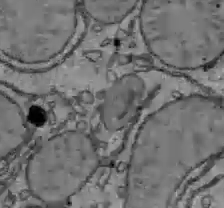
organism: C57BL Mouse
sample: Liver